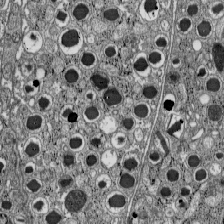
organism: C57BL Mouse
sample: Pancreatic islet